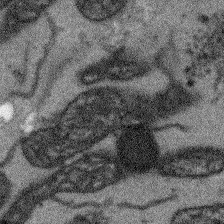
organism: Arabidopsis thaliana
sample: Root tip